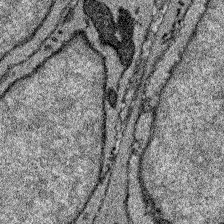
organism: Zebrafish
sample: Larval olfactory bulb